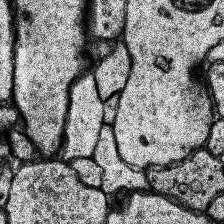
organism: Human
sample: Temporal Lobe